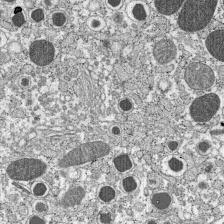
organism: C57BL Mouse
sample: Pancreatic islet